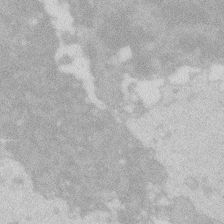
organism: Zebrafish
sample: Macrophage